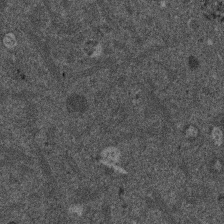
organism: Mouse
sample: Dividing mouse embryo 1 cell stage